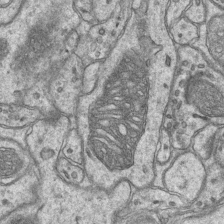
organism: Mouse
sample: CA1 Hippocampus